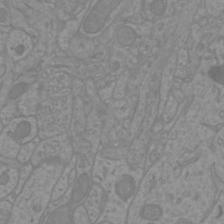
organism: Mouse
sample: Cortical neurons